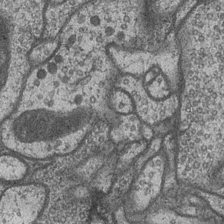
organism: Drosophila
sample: Optic medulla